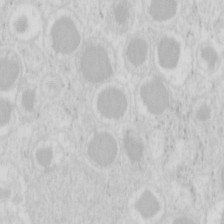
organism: Mouse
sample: Pancreas